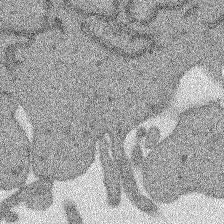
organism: Human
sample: HeLa cells